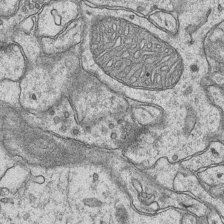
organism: Mouse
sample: CA1 Hippocampus